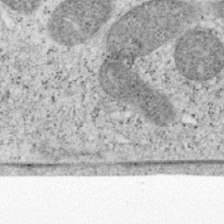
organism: Mouse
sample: OT-I killer T cells with ID8 ovarian cancer cells